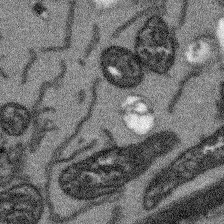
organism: Arabidopsis thaliana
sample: Root tip